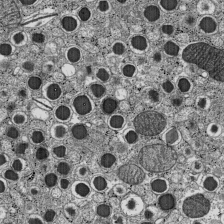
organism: C57BL Mouse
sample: Pancreatic islet